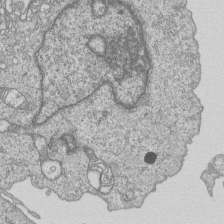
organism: Human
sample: MDA-MB-231 cells